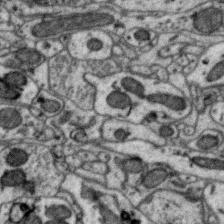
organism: Zebra finch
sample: Brain